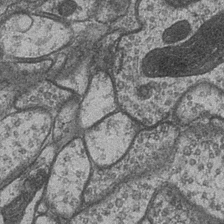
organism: Drosophila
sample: Optic medulla